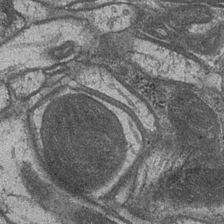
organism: Drosophila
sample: Optic medulla